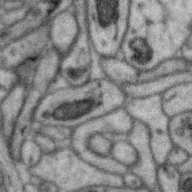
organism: Zebra finch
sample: Brain